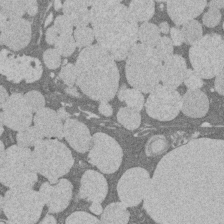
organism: Rat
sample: Salivary granule